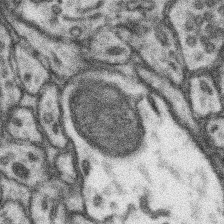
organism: Mouse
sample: Somatosensory cortex neuropil